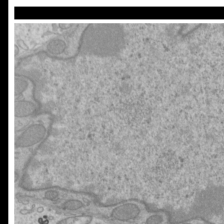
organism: Mouse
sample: Cilia; mouse epididymis